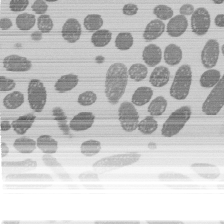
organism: E. coli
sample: Bacterial nucleoid